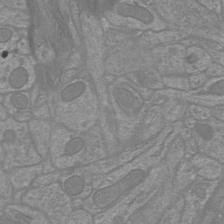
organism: Mouse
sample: Cortical neurons